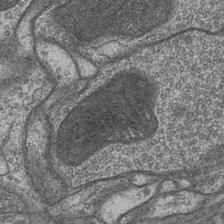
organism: Drosophila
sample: Optic medulla